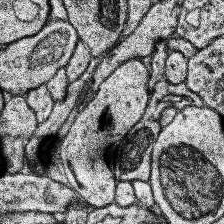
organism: Human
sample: Temporal Lobe